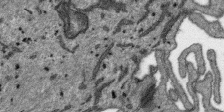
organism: Human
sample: Lung epithelial cells, uninfected (mock) control